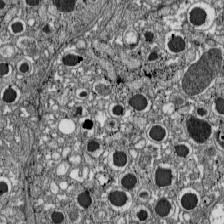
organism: C57BL Mouse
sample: Pancreatic islet